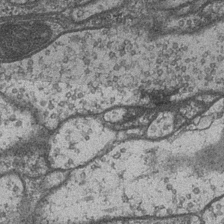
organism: Drosophila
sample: Optic medulla